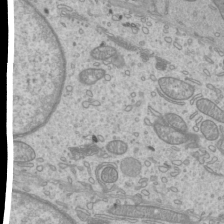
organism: Mouse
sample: Cilia; mouse epididymis